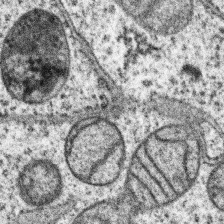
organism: Human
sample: HeLa cells